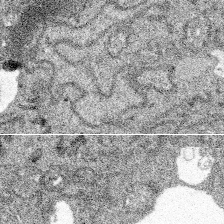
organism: Spongilla lacustris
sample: Multiple